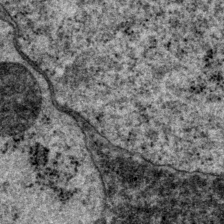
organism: P. pacificus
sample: Pharynx